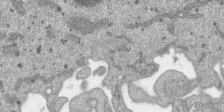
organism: Human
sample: Lung epithelial cells infected with SARS-CoV-2